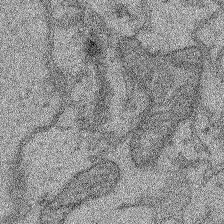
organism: Human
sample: HeLa cells